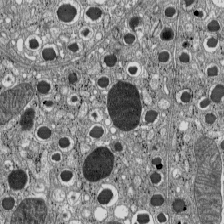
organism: C57BL Mouse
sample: Pancreatic islet